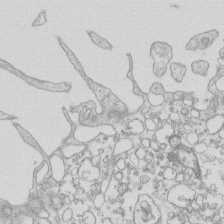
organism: Mouse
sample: Macrophages